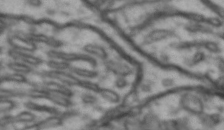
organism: Drosophila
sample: Brain